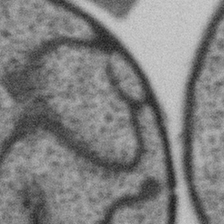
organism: Gemmata obscuriglobus